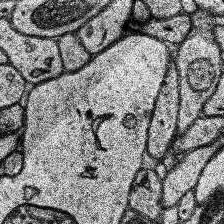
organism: Human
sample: Temporal Lobe